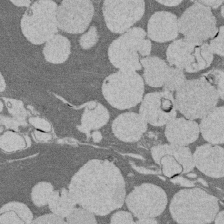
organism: Rat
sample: Salivary granule